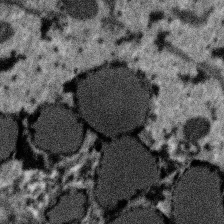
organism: Human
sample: Lung epithelial cells infected with SARS-CoV-2